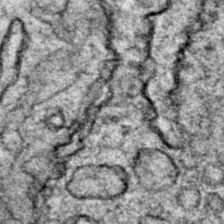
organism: Zebrafish